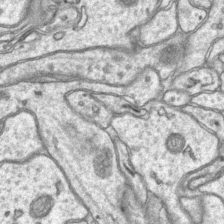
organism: Mouse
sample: CA1 Hippocampus